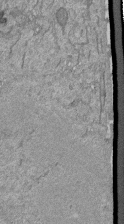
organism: Mouse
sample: ED-1 cell nuclei; centrioles